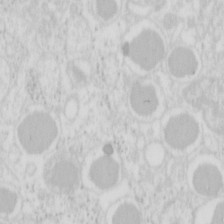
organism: Mouse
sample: Pancreas